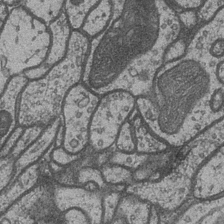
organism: Drosophila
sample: Optic medulla